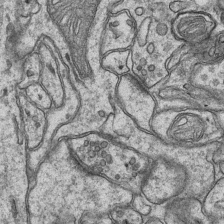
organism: Mouse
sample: CA1 Hippocampus